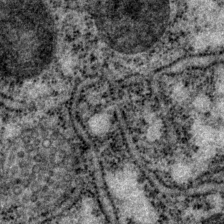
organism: P. pacificus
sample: Pharynx